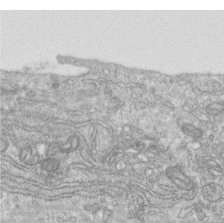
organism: Human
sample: Centriole in RPE cells